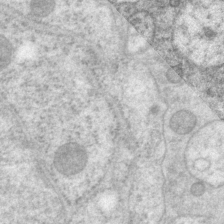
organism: P. pacificus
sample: Pharynx